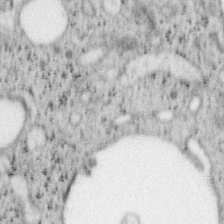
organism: Mouse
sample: OT-I killer T cells with ID8 ovarian cancer cells